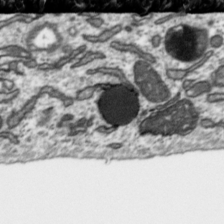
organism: Toxoplasma gondii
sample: Parasites in a vacuole inside a host cell